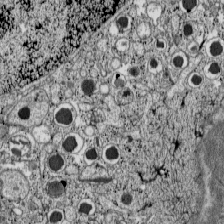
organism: C57BL Mouse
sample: Pancreatic islet